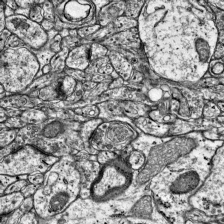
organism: Mouse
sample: Visual Cortex